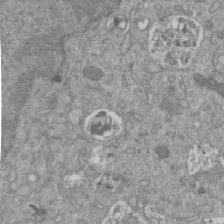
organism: Mouse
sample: ED-1 cell nuclei; centrioles